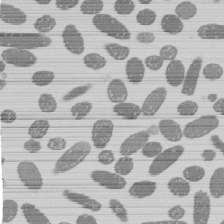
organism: E. coli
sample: Bacterial nucleoid